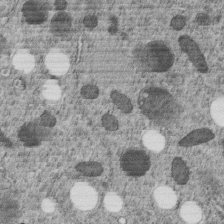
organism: C. elegans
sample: C. elegans embryo early stage